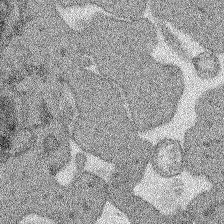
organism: Human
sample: HeLa cells